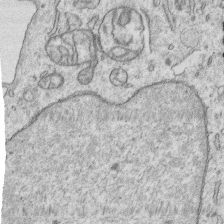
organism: Human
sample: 1205lu cells